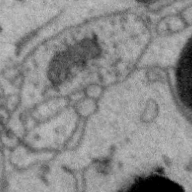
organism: Zebra finch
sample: Brain